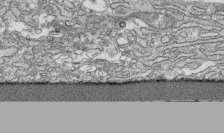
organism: Human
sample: CRL-1474